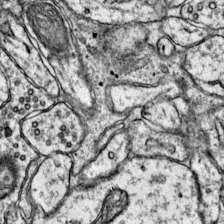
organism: Mouse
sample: Primary visual cortex